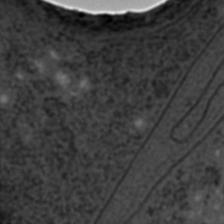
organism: C. elegans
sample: C. elegans embryo